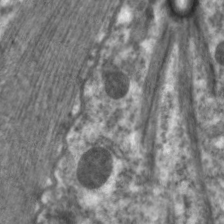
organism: C. elegans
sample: Pharynx